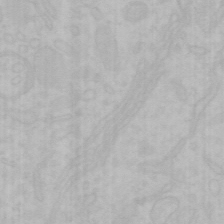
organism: Mouse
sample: Choroid plexus